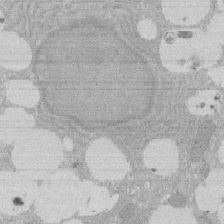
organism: Rat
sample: Salivary granule